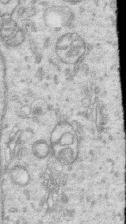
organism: Human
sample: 1205lu cells